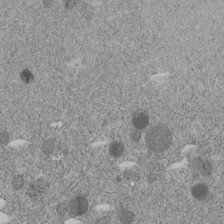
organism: C. elegans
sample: C. elegans embryo early stage